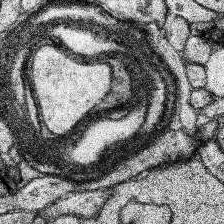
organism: Human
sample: Temporal Lobe